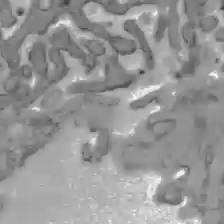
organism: C57BL Mouse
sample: Liver